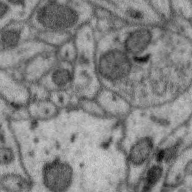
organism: Zebra finch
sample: Brain